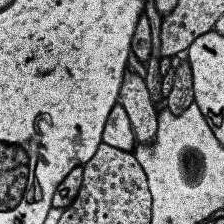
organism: Human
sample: Temporal Lobe